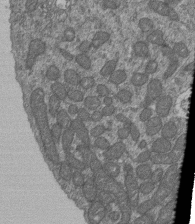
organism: Human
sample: Retinal organoid Rod and Cone cells